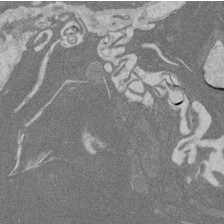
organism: Rat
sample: Salivary granule